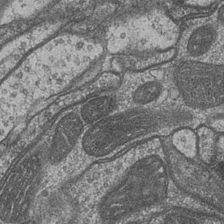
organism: Drosophila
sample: Optic medulla